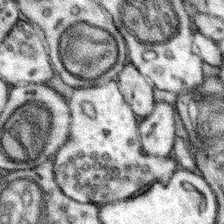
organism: Mouse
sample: Somatosensory cortex neuropil